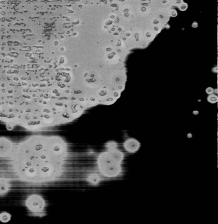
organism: Mouse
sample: Activated Pmel transgenic CD8+ T Cells